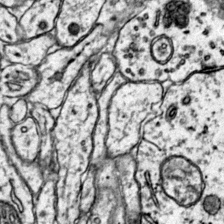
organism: Mouse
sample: Primary visual cortex